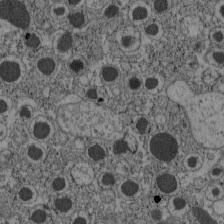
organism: C57BL Mouse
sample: Pancreatic islet